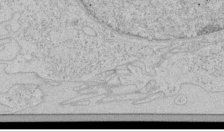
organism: Human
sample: Mitochondria in HCT116 cells